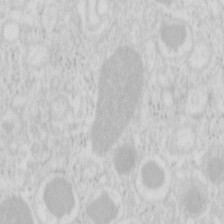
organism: Mouse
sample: Pancreas